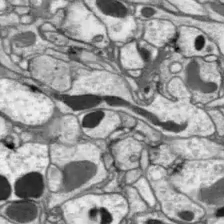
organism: Drosophila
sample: Optic lobe